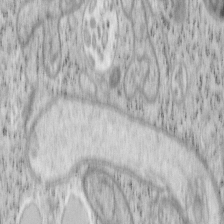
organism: Human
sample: HeLa cells